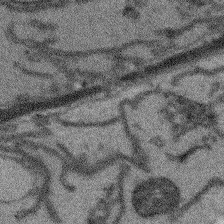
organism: Arabidopsis thaliana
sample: Root tip